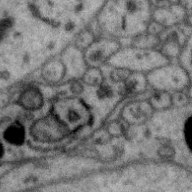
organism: Zebra finch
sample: Brain